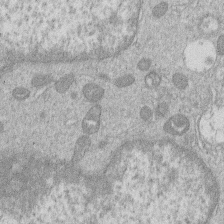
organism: Human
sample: Macrophage cells